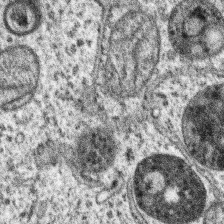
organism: Human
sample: HeLa cells